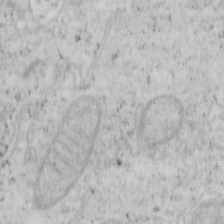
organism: Human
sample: HeLa cells